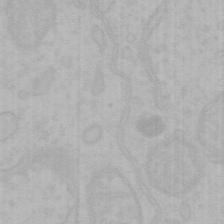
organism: Mouse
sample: Choroid plexus